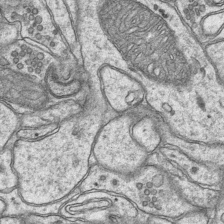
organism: Mouse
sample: CA1 Hippocampus